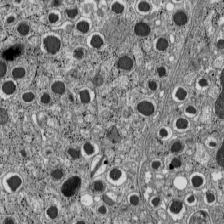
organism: C57BL Mouse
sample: Pancreatic islet